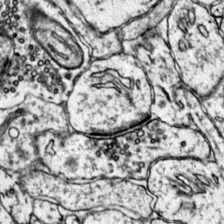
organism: Mouse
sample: Primary visual cortex